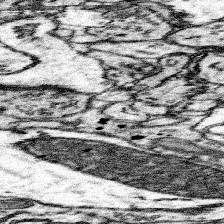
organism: Mouse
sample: Somatosensory cortex neuropil